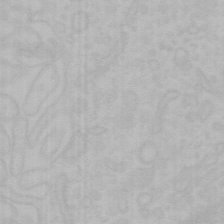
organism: Mouse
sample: Choroid plexus